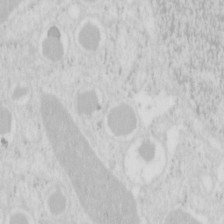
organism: Mouse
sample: Pancreas